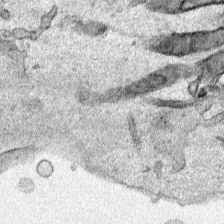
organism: Human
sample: Mitochondria in HCT116 cells